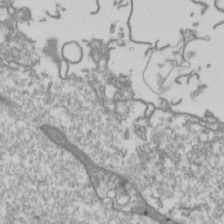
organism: Drosophila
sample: Cell division; meiosis; drosophila spermatocytes